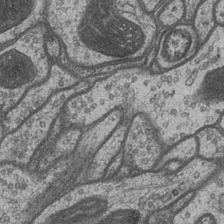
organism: Drosophila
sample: Optic medulla